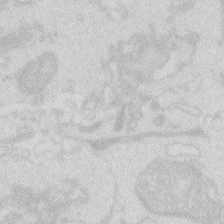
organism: Zebrafish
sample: Macrophage